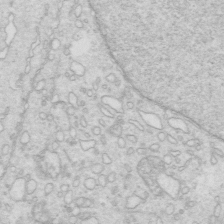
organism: Mouse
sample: Multiciliated cells